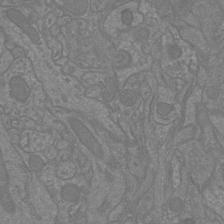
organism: Mouse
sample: Cortical neurons